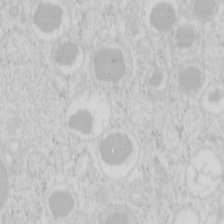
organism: Mouse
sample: Pancreas